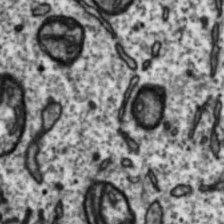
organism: Human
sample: HeLa cells